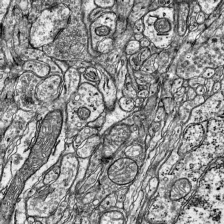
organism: Mouse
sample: Visual Cortex